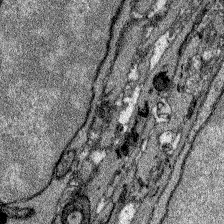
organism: Zebrafish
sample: Larval olfactory bulb